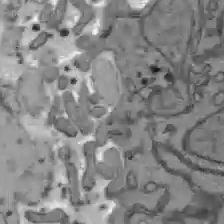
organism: C57BL Mouse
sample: Liver